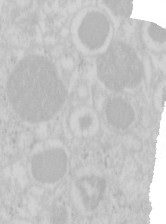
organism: Mouse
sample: Pancreas